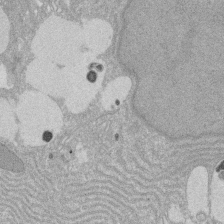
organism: Rat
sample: Salivary granule